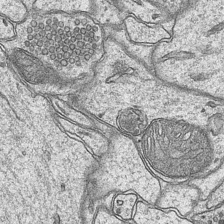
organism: Mouse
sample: CA1 Hippocampus